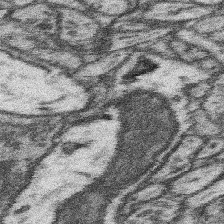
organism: Mouse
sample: Somatosensory cortex neuropil